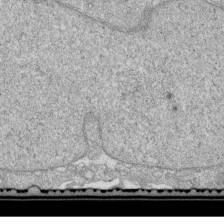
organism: Human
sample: HeLa cell HIV synapse